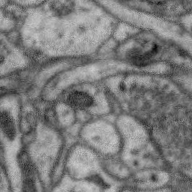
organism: Zebra finch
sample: Brain